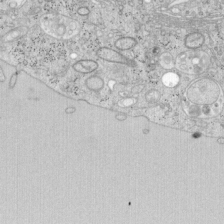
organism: Mouse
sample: OT-I killer T cells with ID8 ovarian cancer cells